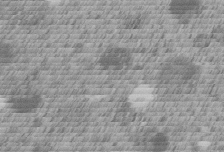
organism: C. elegans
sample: C. elegans embryo early stage